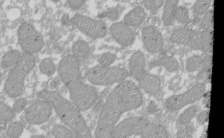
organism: Xenopus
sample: Cilia; centrioles in frog embryo cells